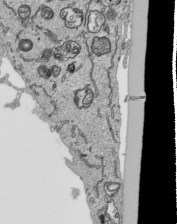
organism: Human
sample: Mitochondria in HCT116 cells